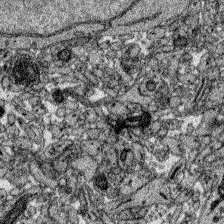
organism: Zebrafish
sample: Larval olfactory bulb